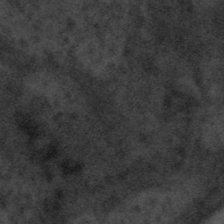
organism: Tuwongella immobilis